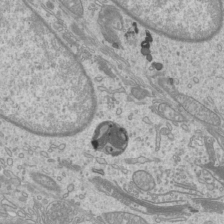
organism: Mouse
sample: Cilia; mouse epididymis